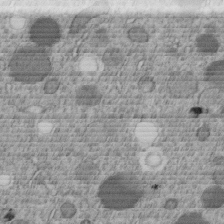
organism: C. elegans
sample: C. elegans embryo early stage